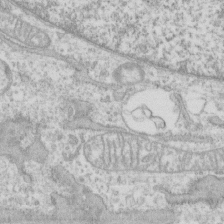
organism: Human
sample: CRL-1474